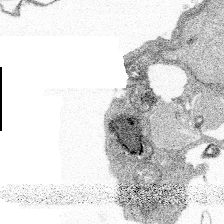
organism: Spongilla lacustris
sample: Multiple